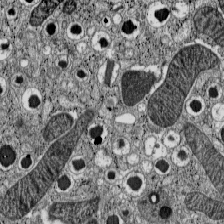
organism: C57BL Mouse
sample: Pancreatic islet